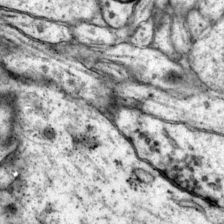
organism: Mouse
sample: Primary visual cortex